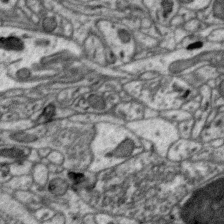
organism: Zebra finch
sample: Brain